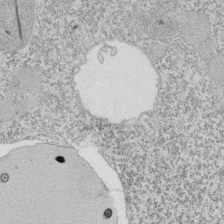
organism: Tetrahymena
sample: Cilia in tetrahymena